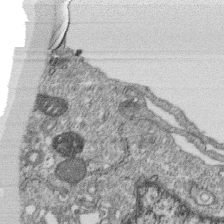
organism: African green monkey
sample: Vero E6 cells infected with SARS-CoV-2